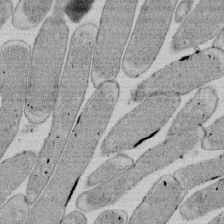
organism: E. coli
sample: Bacterial nucleoid